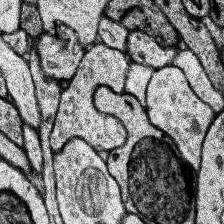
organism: Human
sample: Temporal Lobe